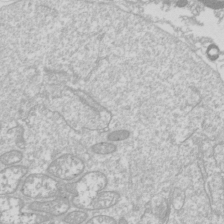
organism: Drosophila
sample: Cell division; meiosis; drosophila spermatocytes